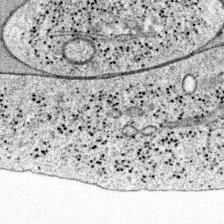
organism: Human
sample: HeLa cells